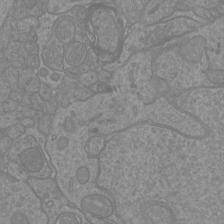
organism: Mouse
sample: Cortical neurons